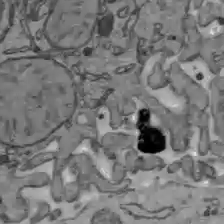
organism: C57BL Mouse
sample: Liver